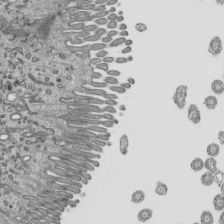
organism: Mouse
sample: Mouse epididymis efferent ductule cilia